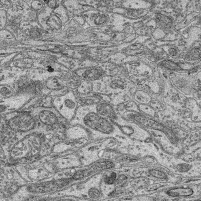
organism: Mouse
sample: Retina